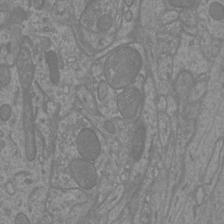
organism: Mouse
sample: Cortical neurons